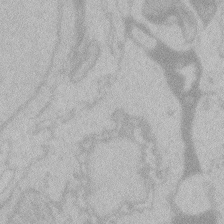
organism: Zebrafish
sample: Macrophage infected with Toxoplasma gondii